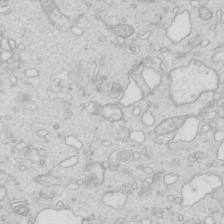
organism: Mouse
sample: Multiciliated cells